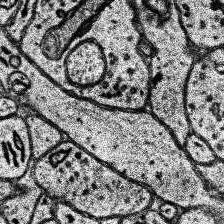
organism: Human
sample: Temporal Lobe